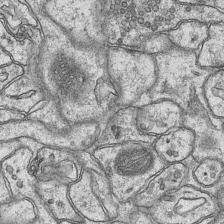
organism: Mouse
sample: CA1 Hippocampus